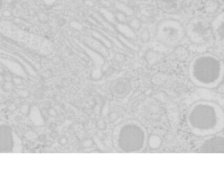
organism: Mouse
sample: Pancreas